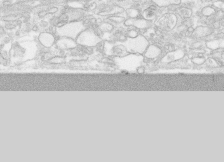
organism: Human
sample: CRL-1474